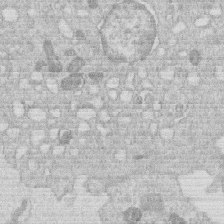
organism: Human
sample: Macrophage cells